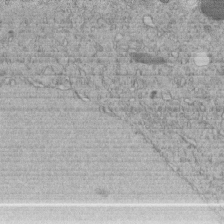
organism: C. elegans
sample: C. elegans embryo early stage